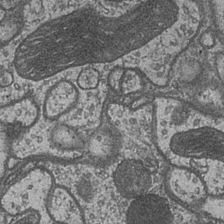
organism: Drosophila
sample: Optic medulla